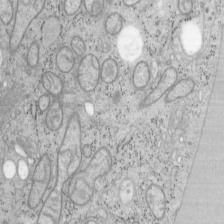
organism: Mouse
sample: OT-I killer T cells with ID8 ovarian cancer cells